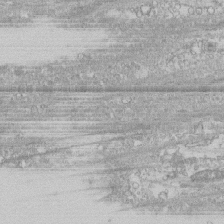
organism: Human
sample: CRL-1474